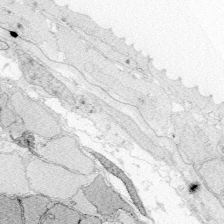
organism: Zebrafish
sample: Whole-Brain